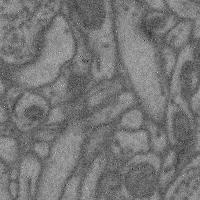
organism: Mouse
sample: Cerebral cortex